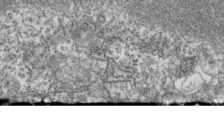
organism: Zebrafish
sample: Cilia; retinal pigment epithelium